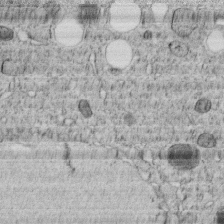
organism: C. elegans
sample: C. elegans embryo early stage